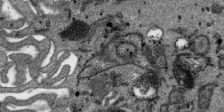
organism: Human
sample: Lung epithelial cells, uninfected (mock) control